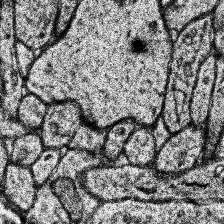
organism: Human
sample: Temporal Lobe